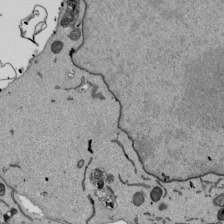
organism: Mouse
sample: ED-1 cell nuclei; centrioles